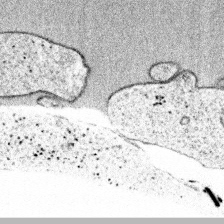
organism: Human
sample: HeLa cells